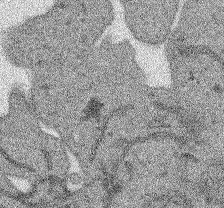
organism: Human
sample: HeLa cells